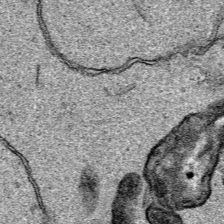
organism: Human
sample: Mitochondria in HCT116 cells